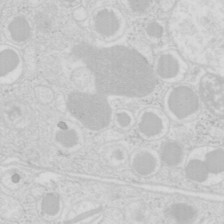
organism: Mouse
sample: Pancreas